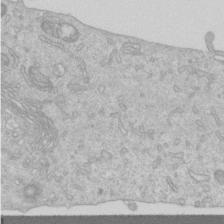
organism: Human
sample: Centriole in RPE cells